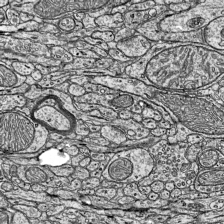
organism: Mouse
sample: Visual Cortex